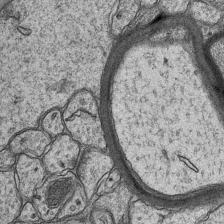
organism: Mouse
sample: CA1 Hippocampus